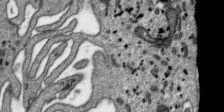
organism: Human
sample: Lung epithelial cells, uninfected (mock) control